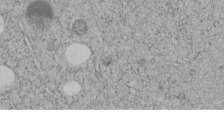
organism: C. elegans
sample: C. elegans embryo early stage